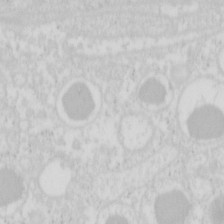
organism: Mouse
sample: Pancreas